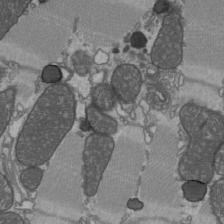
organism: C57BL Mouse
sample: Heart